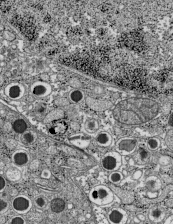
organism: C57BL Mouse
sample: Pancreatic islet